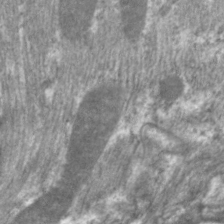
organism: C. elegans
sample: Pharynx